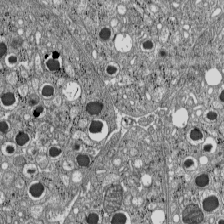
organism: C57BL Mouse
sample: Pancreatic islet